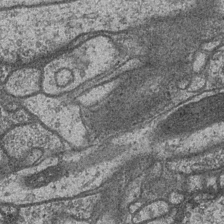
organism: Drosophila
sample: Optic medulla